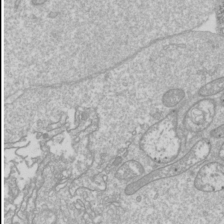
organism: Drosophila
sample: Cell division; meiosis; drosophila spermatocytes